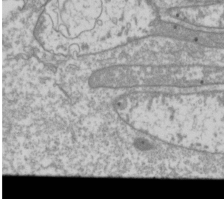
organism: Drosophila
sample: Cell division; meiosis; drosophila spermatocytes